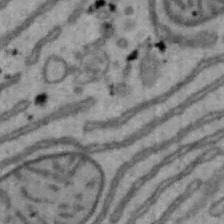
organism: Mouse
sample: Liver